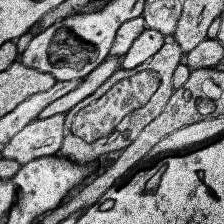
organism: Human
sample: Temporal Lobe